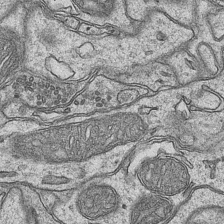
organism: Mouse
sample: CA1 Hippocampus